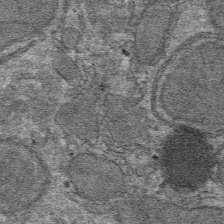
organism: Mouse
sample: Mouse hepatocytes